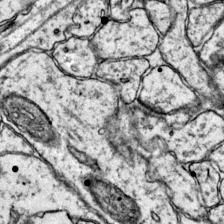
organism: Mouse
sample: Primary visual cortex